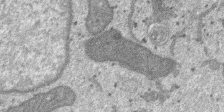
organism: Human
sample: Lung epithelial cells infected with SARS-CoV-2